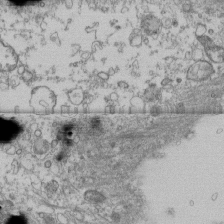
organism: Human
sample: Fibroblast cells